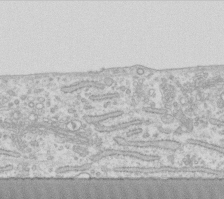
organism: Human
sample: Fibroblast cells